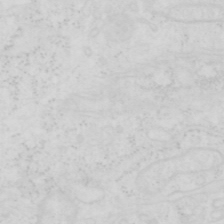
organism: Human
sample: SUM-159 cell